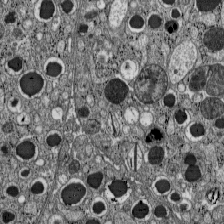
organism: C57BL Mouse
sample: Pancreatic islet